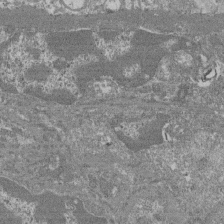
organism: Mouse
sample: Glomerulus